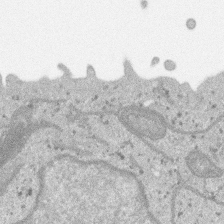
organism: Human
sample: Lung epithelial cells infected with SARS-CoV-2